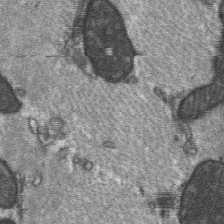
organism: C57BL Mouse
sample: Soleus